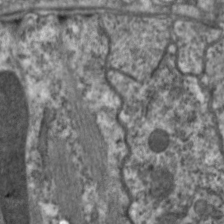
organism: C. elegans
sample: Pharynx